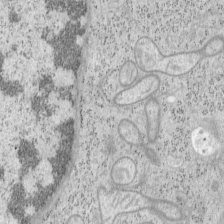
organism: Mouse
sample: OT-I killer T cells with ID8 ovarian cancer cells